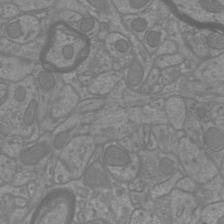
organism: Mouse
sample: Cortical neurons